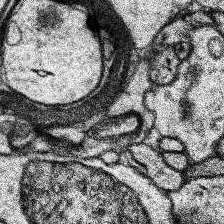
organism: Human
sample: Temporal Lobe